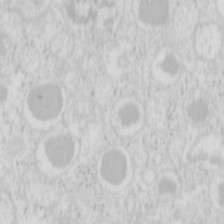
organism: Mouse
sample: Pancreas